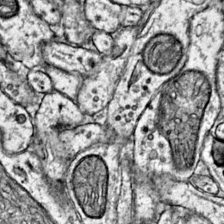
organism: Mouse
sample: Primary visual cortex